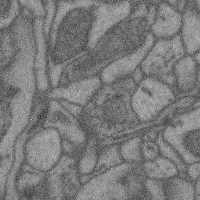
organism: Mouse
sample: Cerebral cortex